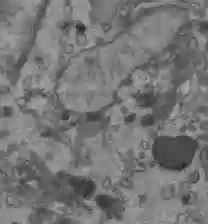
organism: C57BL Mouse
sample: Liver